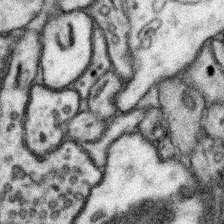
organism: Mouse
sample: Somatosensory cortex neuropil